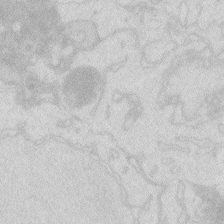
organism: Zebrafish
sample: Macrophage